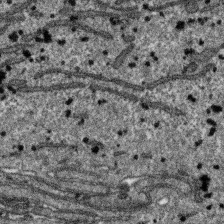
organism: Human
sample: Lung epithelial cells infected with SARS-CoV-2